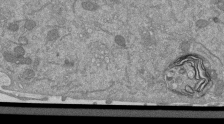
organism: Mouse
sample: ED-1 cell nuclei; centrioles